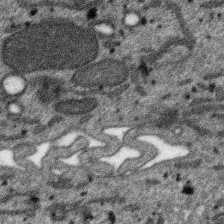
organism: Human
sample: Lung epithelial cells infected with SARS-CoV-2